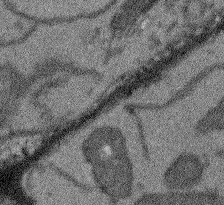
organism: Arabidopsis thaliana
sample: Root tip